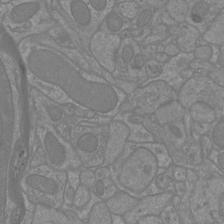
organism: Mouse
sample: Cortical neurons